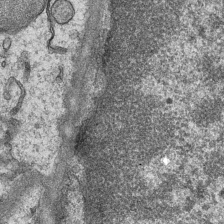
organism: Mouse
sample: CA1 Hippocampus